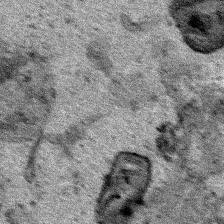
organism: Human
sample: Mitochondria in HCT116 cells